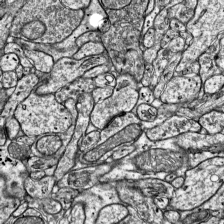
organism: Mouse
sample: Visual Cortex